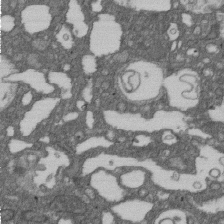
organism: Drosophila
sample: Nephrocyte